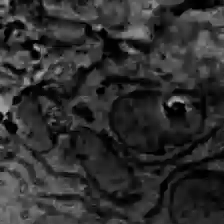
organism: C57BL Mouse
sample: Liver